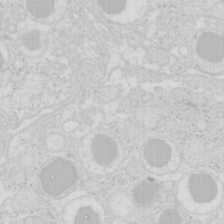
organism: Mouse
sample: Pancreas